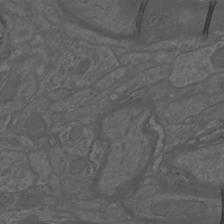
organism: Mouse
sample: Cortical neurons